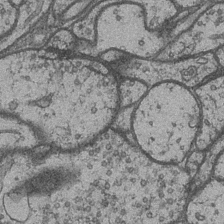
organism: Drosophila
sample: Optic medulla